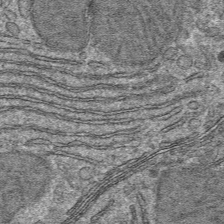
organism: Mouse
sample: Mouse hepatocytes